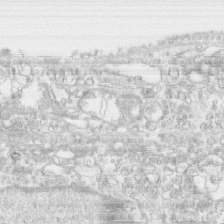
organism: Human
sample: CRL-1474